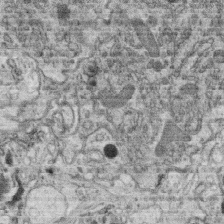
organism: C. elegans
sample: C. elegans oocyte; sperm cells